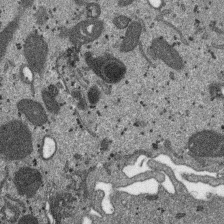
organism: Human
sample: Lung epithelial cells infected with SARS-CoV-2